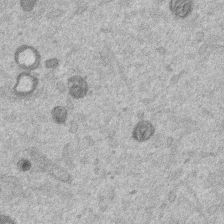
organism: Mouse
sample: Dividing mouse embryo 1 cell stage